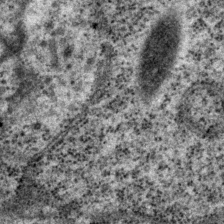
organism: P. pacificus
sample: Pharynx